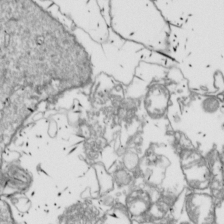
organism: Drosophila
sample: Cell division; meiosis; drosophila spermatocytes